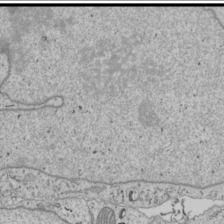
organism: Human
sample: Mitochondria in U2OS cells